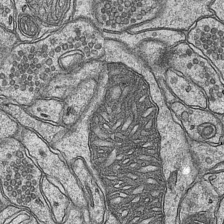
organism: Mouse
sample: CA1 Hippocampus